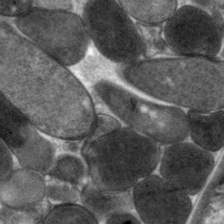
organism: C. elegans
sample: Pharynx